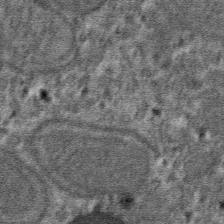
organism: Mouse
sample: Mouse hepatocytes